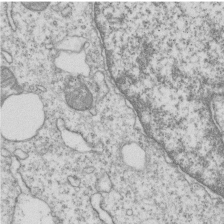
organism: Human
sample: MDA-MB-231 cells